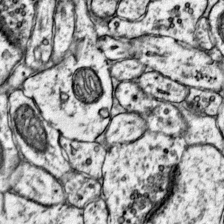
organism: Mouse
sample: Primary visual cortex